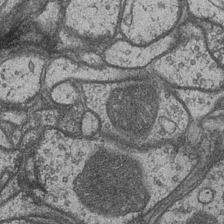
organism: Drosophila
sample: Optic medulla